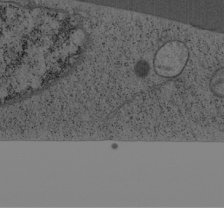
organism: African green monkey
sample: COS-7 cells